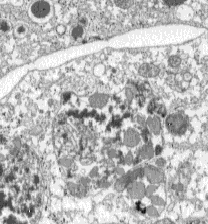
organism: C57BL Mouse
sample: Pancreatic islet